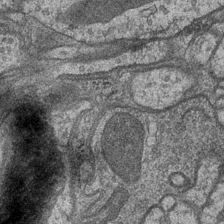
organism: Drosophila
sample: Optic medulla